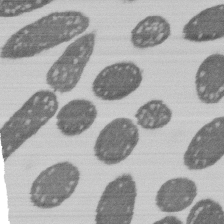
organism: E. coli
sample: Bacterial nucleoid